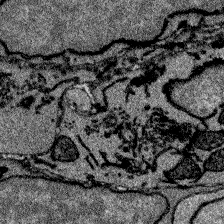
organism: Zebrafish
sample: Larval olfactory bulb